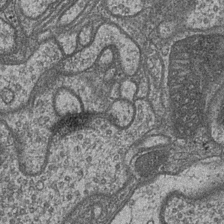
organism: Drosophila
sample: Optic medulla